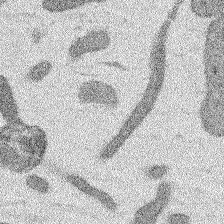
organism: Human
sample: HeLa cells